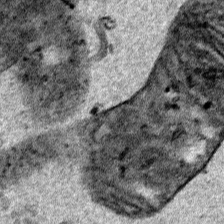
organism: Human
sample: Mitochondria in HCT116 cells